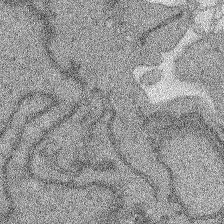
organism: Human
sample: HeLa cells